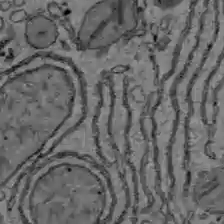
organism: C57BL Mouse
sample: Liver